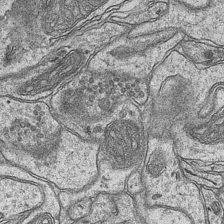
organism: Mouse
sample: CA1 Hippocampus